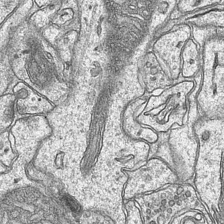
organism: Mouse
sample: CA1 Hippocampus